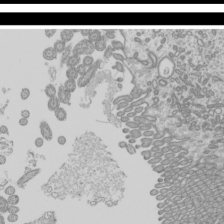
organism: Mouse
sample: Cilia; mouse epididymis